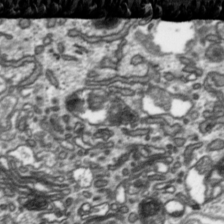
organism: Toxoplasma gondii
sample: Parasites in a vacuole inside a host cell